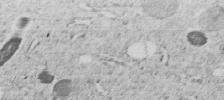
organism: C. elegans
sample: C. elegans embryo early stage